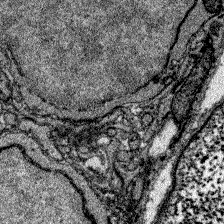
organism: Zebrafish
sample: Larval olfactory bulb